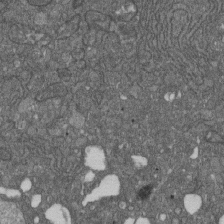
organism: Drosophila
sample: Nephrocyte